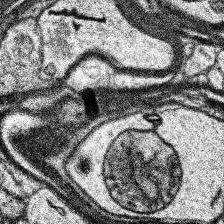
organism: Human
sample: Temporal Lobe